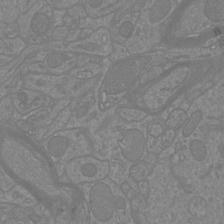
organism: Mouse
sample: Cortical neurons